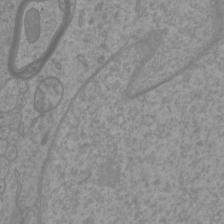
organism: Mouse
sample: Cortical neurons